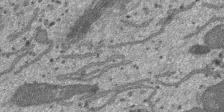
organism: Human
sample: Lung epithelial cells infected with SARS-CoV-2